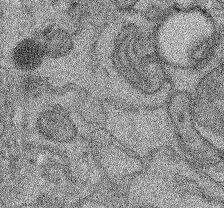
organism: Human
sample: HeLa cells